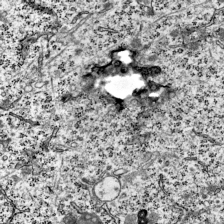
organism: Mouse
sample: Visual Cortex